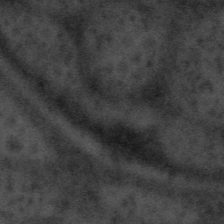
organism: Tuwongella immobilis